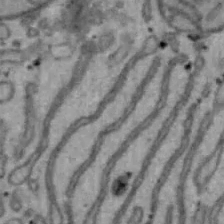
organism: Mouse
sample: Liver